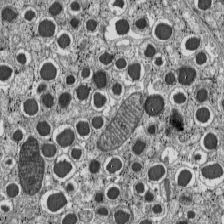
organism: C57BL Mouse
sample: Pancreatic islet